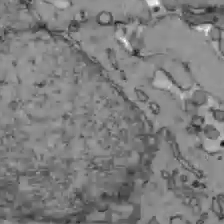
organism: C57BL Mouse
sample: Liver